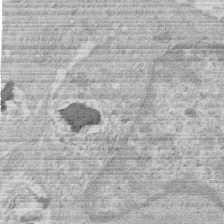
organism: Human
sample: Macrophage cells